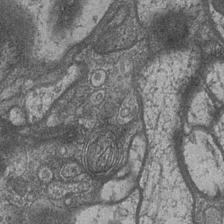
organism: Drosophila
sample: Optic medulla